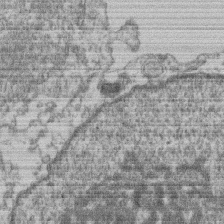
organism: Mouse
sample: T cell stromal cell synapse